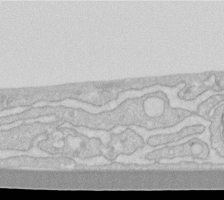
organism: Human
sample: Fibroblast cells